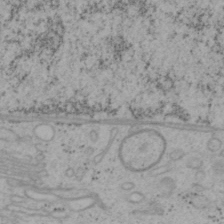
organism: Human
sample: HeLa cells